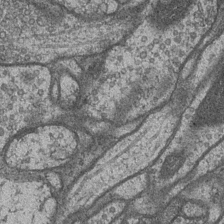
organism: Drosophila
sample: Optic medulla